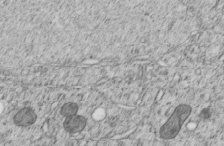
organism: C. elegans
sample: C. elegans embryo early stage